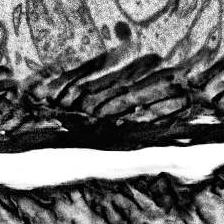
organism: Human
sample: Temporal Lobe